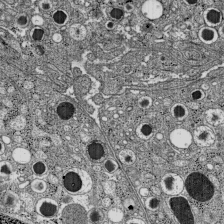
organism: C57BL Mouse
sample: Pancreatic islet